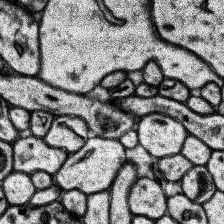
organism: Human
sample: Temporal Lobe